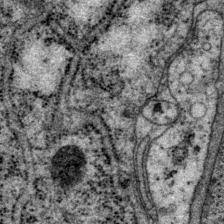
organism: P. pacificus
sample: Pharynx